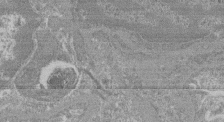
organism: Mouse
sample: Glomerulus